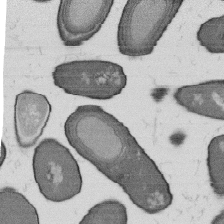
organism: B. subtilis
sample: Bacterial spore